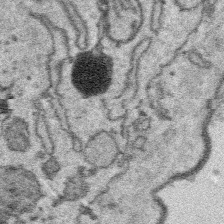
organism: Platynereis dumerilii